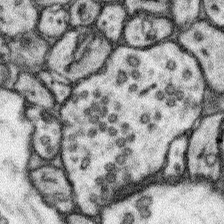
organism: Mouse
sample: Somatosensory cortex neuropil